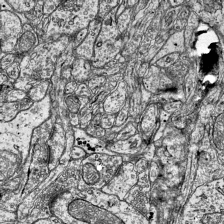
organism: Mouse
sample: Visual Cortex